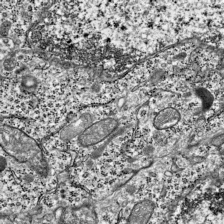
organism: Mouse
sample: Visual Cortex